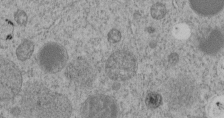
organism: C. elegans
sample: C. elegans embryo early stage